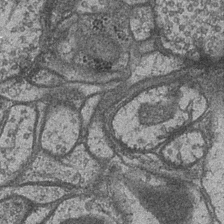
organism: Drosophila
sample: Optic medulla